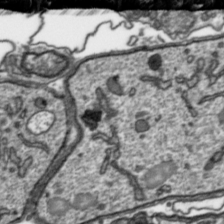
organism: Toxoplasma gondii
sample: Parasites in a vacuole inside a host cell